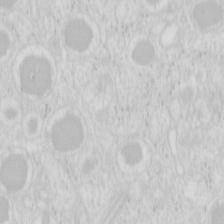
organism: Mouse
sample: Pancreas